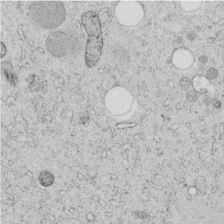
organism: C. elegans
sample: C. elegans embryo early stage